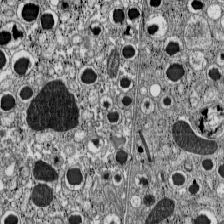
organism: C57BL Mouse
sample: Pancreatic islet